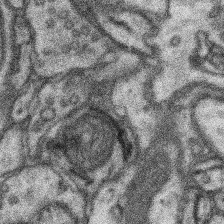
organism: Mouse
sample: Somatosensory cortex neuropil